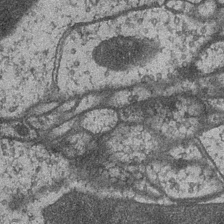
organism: Drosophila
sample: Optic medulla